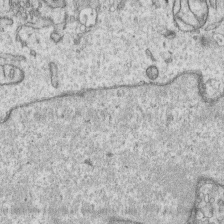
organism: Human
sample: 1205lu cells